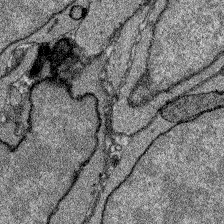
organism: Zebrafish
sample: Larval olfactory bulb